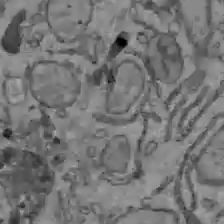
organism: C57BL Mouse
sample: Liver